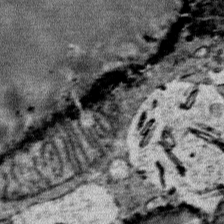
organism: Mouse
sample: Mouse Salivary gland